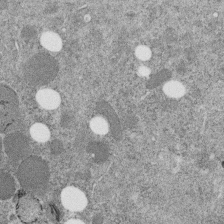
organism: C. elegans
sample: C. elegans embryo early stage